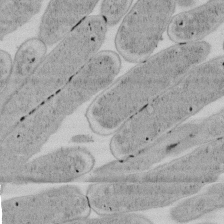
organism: E. coli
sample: Bacterial nucleoid